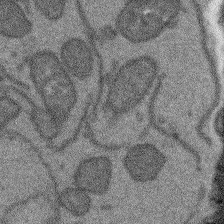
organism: Arabidopsis thaliana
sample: Root tip